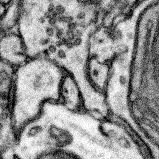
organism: Mouse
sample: Somatosensory cortex neuropil